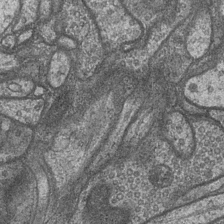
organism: Drosophila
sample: Optic medulla